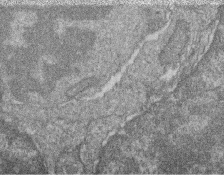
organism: Zebrafish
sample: Cilia; retinal pigment epithelium